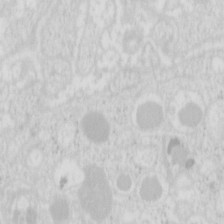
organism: Mouse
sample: Pancreas